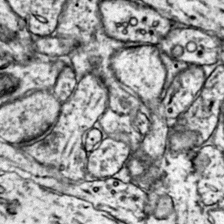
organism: Mouse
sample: Primary visual cortex